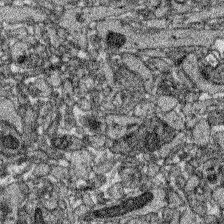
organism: Zebrafish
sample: Larval olfactory bulb